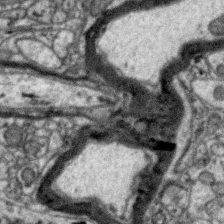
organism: Zebra finch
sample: Brain